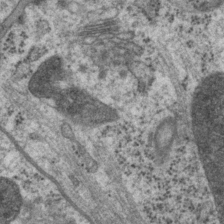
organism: P. pacificus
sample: Pharynx